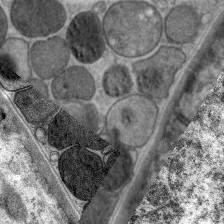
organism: C. elegans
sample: Pharynx